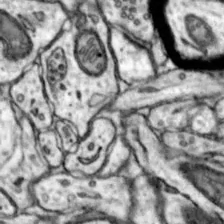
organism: Mouse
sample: Nucleus accumbens